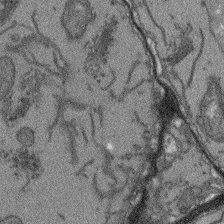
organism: Arabidopsis thaliana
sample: Root tip